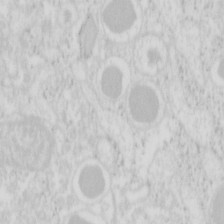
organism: Mouse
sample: Pancreas